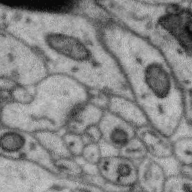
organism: Zebra finch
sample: Brain